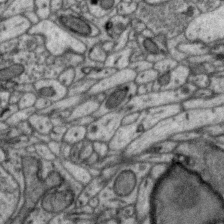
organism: Zebra finch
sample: Brain